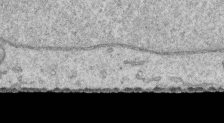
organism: Human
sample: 1205lu cells